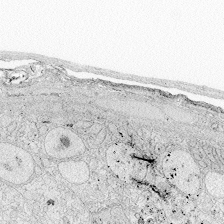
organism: Zebrafish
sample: Whole-Brain